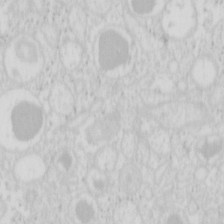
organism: Mouse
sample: Pancreas